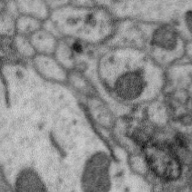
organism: Zebra finch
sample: Brain